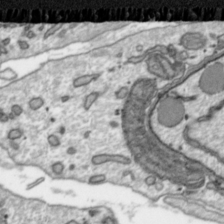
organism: Toxoplasma gondii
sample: Parasites in a vacuole inside a host cell